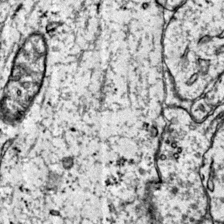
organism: Mouse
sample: Primary visual cortex